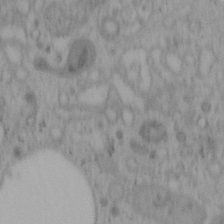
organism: Mouse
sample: OT-I killer T cells with ID8 ovarian cancer cells